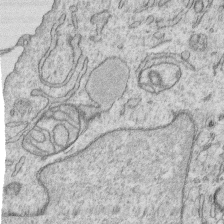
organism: Human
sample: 1205lu cells